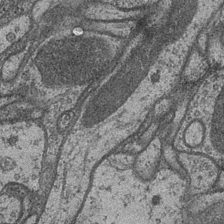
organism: Drosophila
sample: Optic medulla